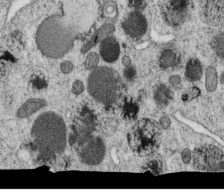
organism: C. elegans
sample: C. elegans oocyte; sperm cells